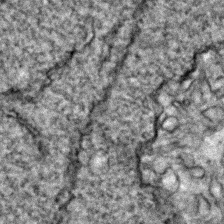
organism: Zebrafish